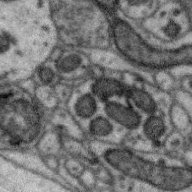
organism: Zebra finch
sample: Brain